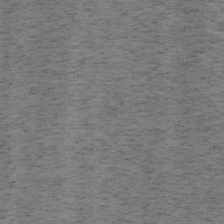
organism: Mouse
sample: OT-I killer T cells with ID8 ovarian cancer cells